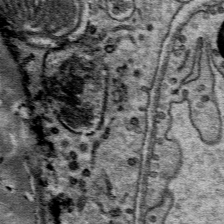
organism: Mouse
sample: Mouse Salivary gland